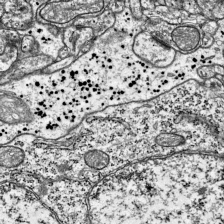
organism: Mouse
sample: Visual Cortex